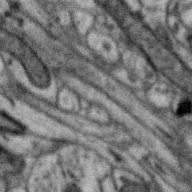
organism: Zebra finch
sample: Brain